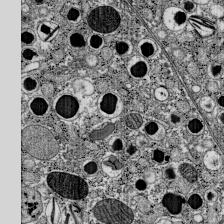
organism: C57BL Mouse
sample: Pancreatic islet